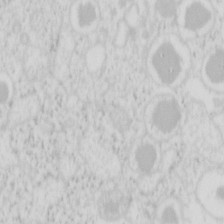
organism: Mouse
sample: Pancreas